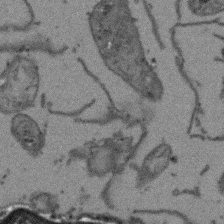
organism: Arabidopsis thaliana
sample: Root tip